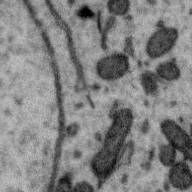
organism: Zebra finch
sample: Brain